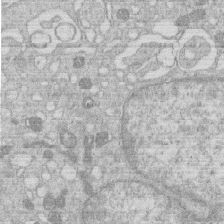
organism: Human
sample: Macrophage cells